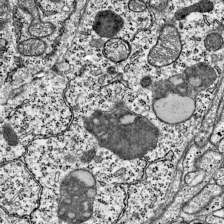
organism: Mouse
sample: Visual Cortex